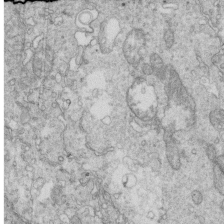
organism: Mouse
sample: Multiciliated cells